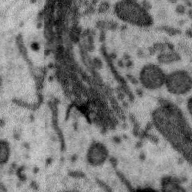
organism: Zebra finch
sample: Brain